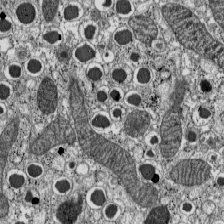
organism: C57BL Mouse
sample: Pancreatic islet